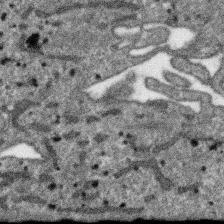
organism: Human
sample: Lung epithelial cells infected with SARS-CoV-2